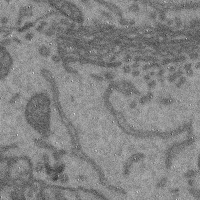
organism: Mouse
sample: Cerebral cortex